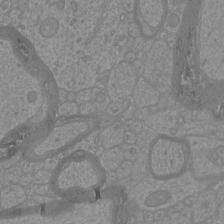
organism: Mouse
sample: Cortical neurons